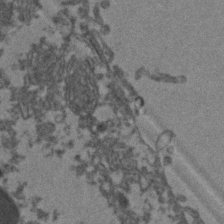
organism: Zebrafish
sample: Zebrafish embryo